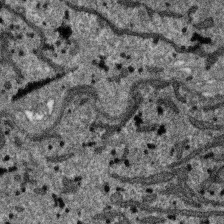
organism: Human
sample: Lung epithelial cells infected with SARS-CoV-2